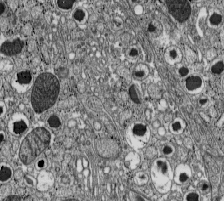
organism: C57BL Mouse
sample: Pancreatic islet